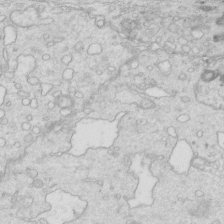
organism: Mouse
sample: Multiciliated cells